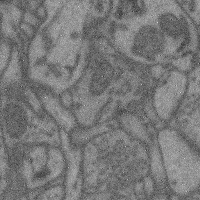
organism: Mouse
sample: Cerebral cortex